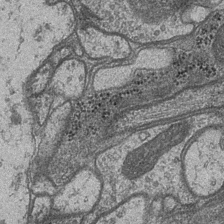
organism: Drosophila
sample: Optic medulla